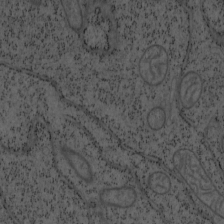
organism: Mouse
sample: OT-I killer T cells with ID8 ovarian cancer cells